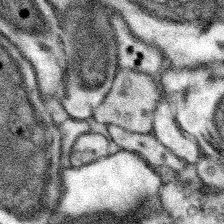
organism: Mouse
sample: Somatosensory cortex neuropil